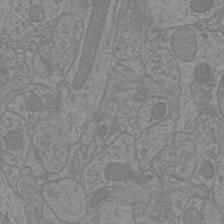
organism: Mouse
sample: Cortical neurons